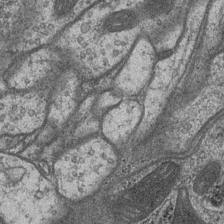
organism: Drosophila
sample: Optic medulla